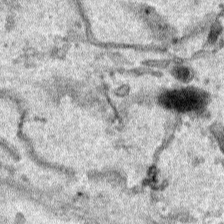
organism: Human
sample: Mitochondria in HCT116 cells